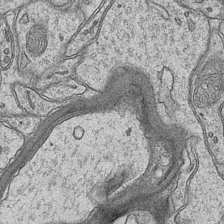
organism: Mouse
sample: CA1 Hippocampus